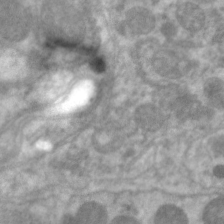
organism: C. elegans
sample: Pharynx